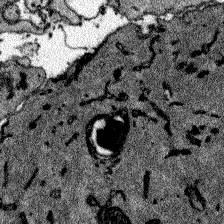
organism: Zebrafish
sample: Larval olfactory bulb